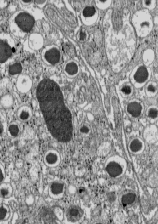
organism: C57BL Mouse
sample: Pancreatic islet